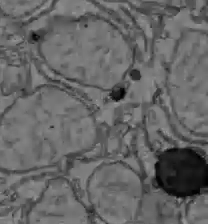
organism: C57BL Mouse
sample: Liver